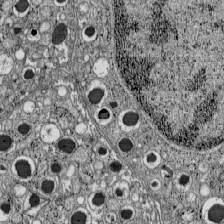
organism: C57BL Mouse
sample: Pancreatic islet